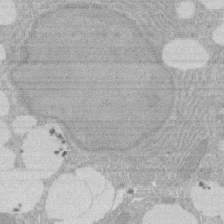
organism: Rat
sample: Salivary granule